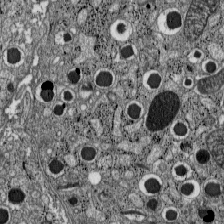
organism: C57BL Mouse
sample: Pancreatic islet